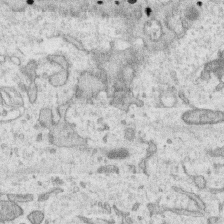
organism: Human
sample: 1205lu cells